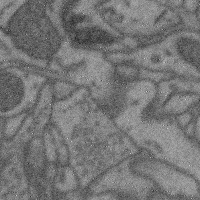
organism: Mouse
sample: Cerebral cortex